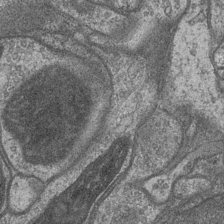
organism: Drosophila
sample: Optic medulla